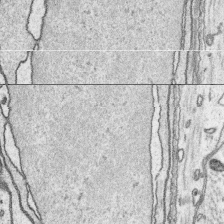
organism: Platynereis dumerilii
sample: Parapodia